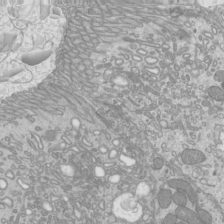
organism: Mouse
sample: Cilia; mouse epididymis